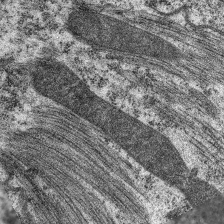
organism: C. elegans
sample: Pharynx